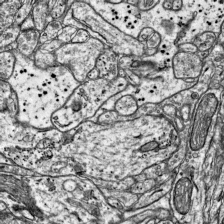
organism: Mouse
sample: Visual Cortex